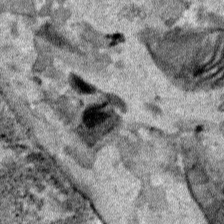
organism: Human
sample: Mitochondria in HCT116 cells